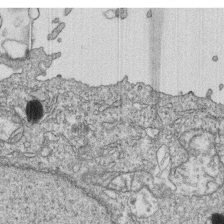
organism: Human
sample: HeLa cell HIV synapse